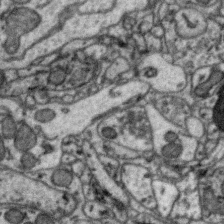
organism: Zebra finch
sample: Brain